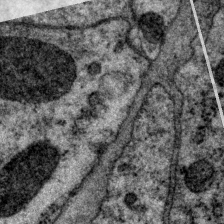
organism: P. pacificus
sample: Pharynx